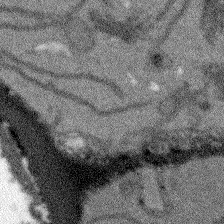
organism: Arabidopsis thaliana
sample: Root tip